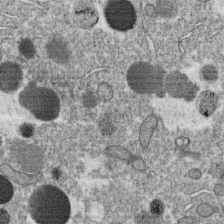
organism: C. elegans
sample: C. elegans oocyte; sperm cells